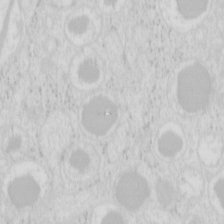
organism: Mouse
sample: Pancreas